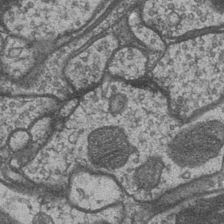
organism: Drosophila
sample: Optic medulla